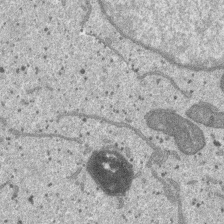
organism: Human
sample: Lung epithelial cells infected with SARS-CoV-2